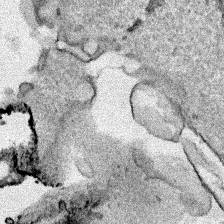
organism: Human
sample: Mitochondria in HCT116 cells